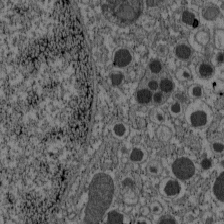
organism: C57BL Mouse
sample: Pancreatic islet